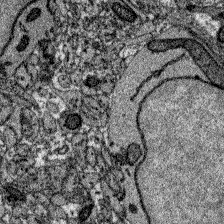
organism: Zebrafish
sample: Larval olfactory bulb